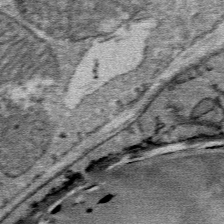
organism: Mouse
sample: Mouse Salivary gland